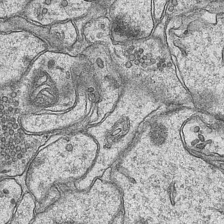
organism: Mouse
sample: CA1 Hippocampus